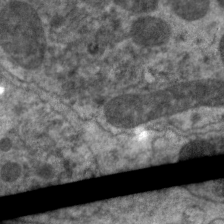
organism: C. elegans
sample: Pharynx